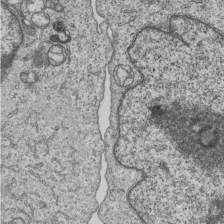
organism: Human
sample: MDA-MB-231 cells